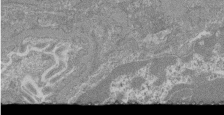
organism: Mouse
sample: Glomerulus